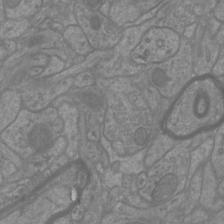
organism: Mouse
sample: Cortical neurons